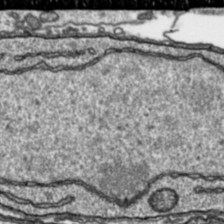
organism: Toxoplasma gondii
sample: Parasites in a vacuole inside a host cell